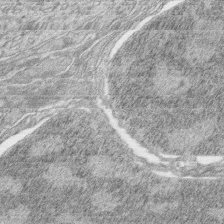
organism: Zebrafish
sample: synaptic ribbons in rod cells and cone cells